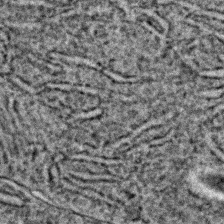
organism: C. elegans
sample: C. elegans embryo